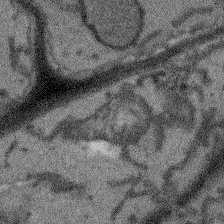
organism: Arabidopsis thaliana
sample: Root tip